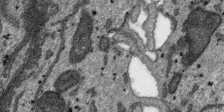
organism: Human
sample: Lung epithelial cells, uninfected (mock) control